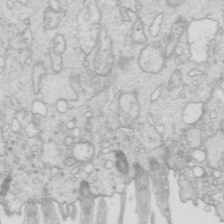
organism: Mouse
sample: Multiciliated cells